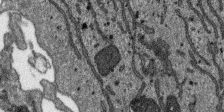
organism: Human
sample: Lung epithelial cells infected with SARS-CoV-2